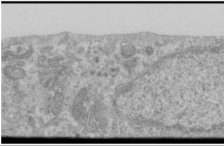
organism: Human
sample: Cilia; basal body in RPE cells